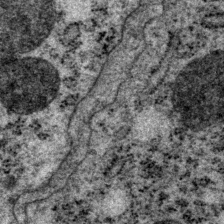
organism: P. pacificus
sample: Pharynx